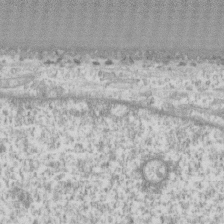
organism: Human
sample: CRL-1474